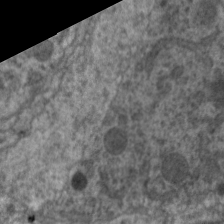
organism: C. elegans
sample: Pharynx